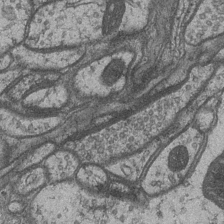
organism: Drosophila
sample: Optic medulla